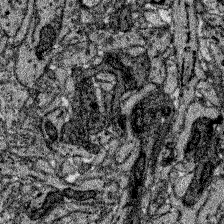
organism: Zebrafish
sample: Larval olfactory bulb